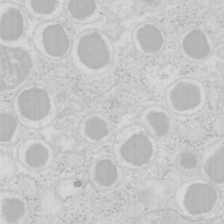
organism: Mouse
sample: Pancreas